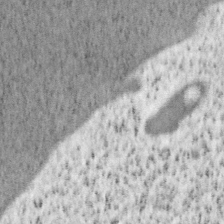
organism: Mouse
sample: OT-I killer T cells with ID8 ovarian cancer cells